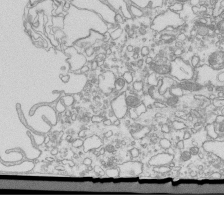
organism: Mouse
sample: Macrophages